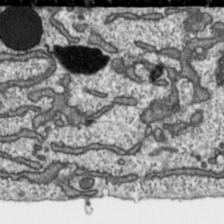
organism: Toxoplasma gondii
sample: Parasites in a vacuole inside a host cell